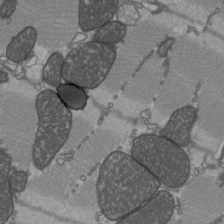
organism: C57BL Mouse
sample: Heart